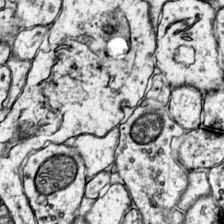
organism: Mouse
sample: Primary visual cortex